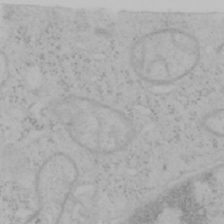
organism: Mouse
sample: OT-I killer T cells with ID8 ovarian cancer cells